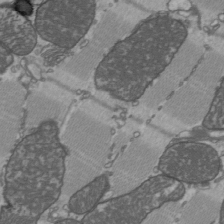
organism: C57BL Mouse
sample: Heart